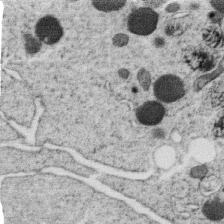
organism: C. elegans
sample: C. elegans oocyte; sperm cells